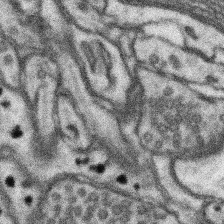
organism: Mouse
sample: Somatosensory cortex neuropil